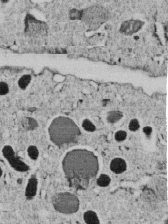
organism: C. elegans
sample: C. elegans embryo early stage